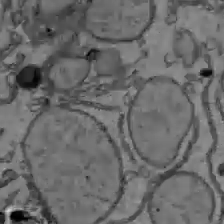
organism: C57BL Mouse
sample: Liver